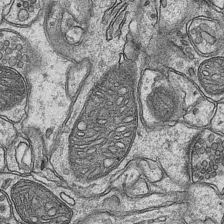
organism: Mouse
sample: CA1 Hippocampus